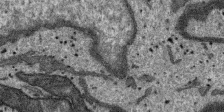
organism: Human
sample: Lung epithelial cells, uninfected (mock) control